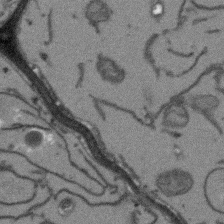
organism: Arabidopsis thaliana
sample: Root tip